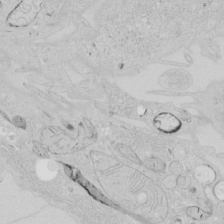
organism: Human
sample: Mitochondria in HCT116 cells